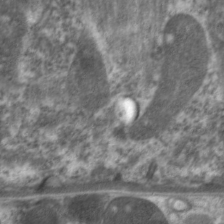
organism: C. elegans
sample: Pharynx